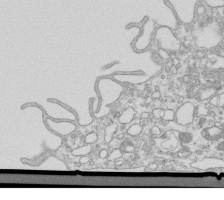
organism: Mouse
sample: Macrophages